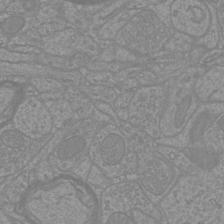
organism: Mouse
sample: Cortical neurons